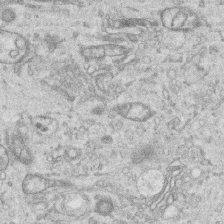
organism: Human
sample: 1205lu cells